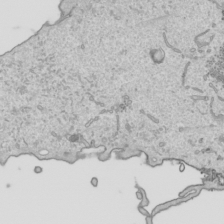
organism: Human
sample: Mitochondria in HCT116 cells